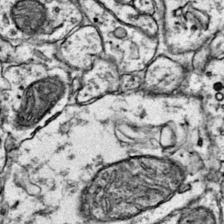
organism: Mouse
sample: Primary visual cortex